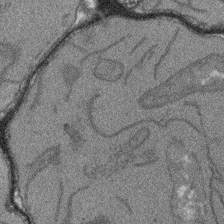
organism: Arabidopsis thaliana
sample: Root tip